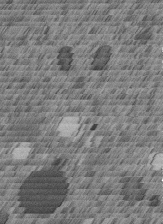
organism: C. elegans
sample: C. elegans embryo early stage